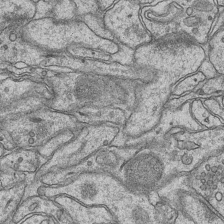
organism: Mouse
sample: CA1 Hippocampus